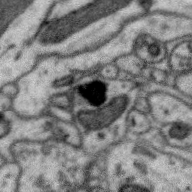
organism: Zebra finch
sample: Brain